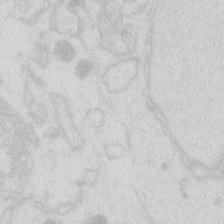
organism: Zebrafish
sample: Macrophage